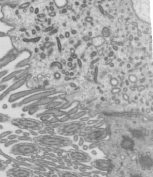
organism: Mouse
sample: Mouse epididymis efferent ductule cilia